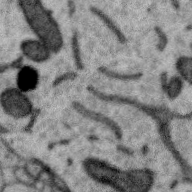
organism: Zebra finch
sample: Brain